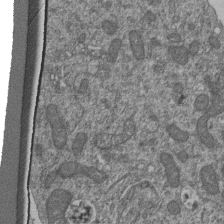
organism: Human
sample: Retinal organoid Rod and Cone cells